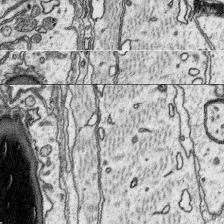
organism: Platynereis dumerilii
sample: Parapodia